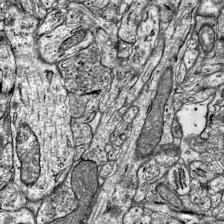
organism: Mouse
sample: Visual Cortex